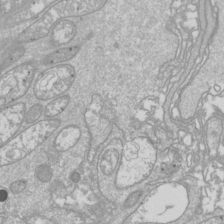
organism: Drosophila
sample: Cell division; meiosis; drosophila spermatocytes